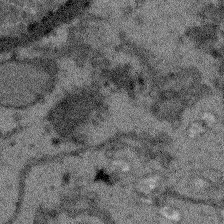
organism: Arabidopsis thaliana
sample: Root tip